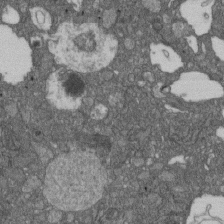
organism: Drosophila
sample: Nephrocyte